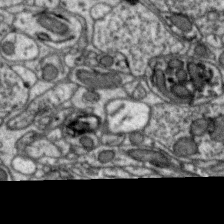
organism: Zebra finch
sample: Brain